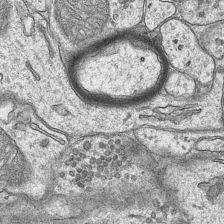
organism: Mouse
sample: CA1 Hippocampus